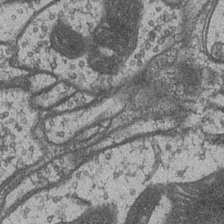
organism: Drosophila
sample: Optic medulla